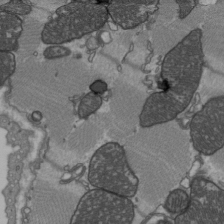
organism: C57BL Mouse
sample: Heart